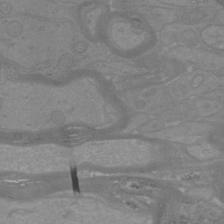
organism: Mouse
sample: Cortical neurons